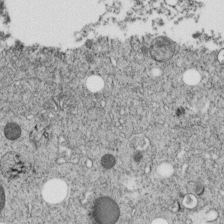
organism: C. elegans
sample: C. elegans embryo early stage